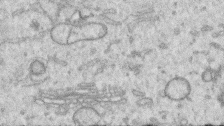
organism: Human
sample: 1205lu cells